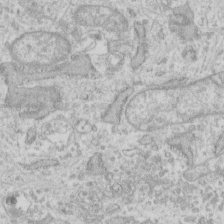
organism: Human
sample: Fibroblast cells